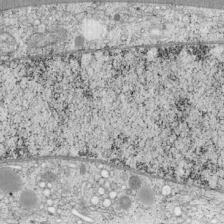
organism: African green monkey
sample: COS-7 cells